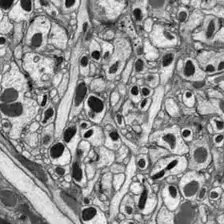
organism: Drosophila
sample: Optic lobe